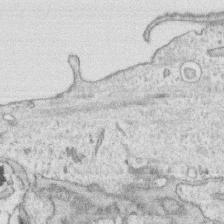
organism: Human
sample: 1205lu cells